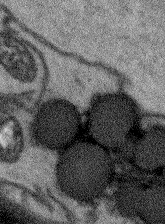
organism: Arabidopsis thaliana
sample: Root tip